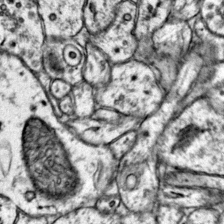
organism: Mouse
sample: Primary visual cortex